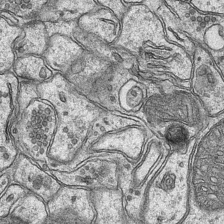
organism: Mouse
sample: CA1 Hippocampus